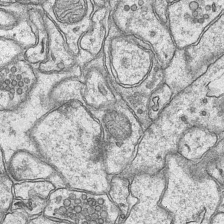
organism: Mouse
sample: CA1 Hippocampus